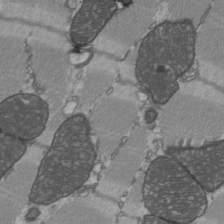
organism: C57BL Mouse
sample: Heart